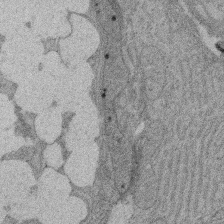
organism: Rat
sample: Salivary granule